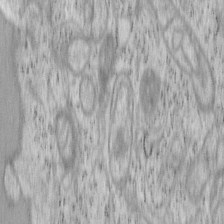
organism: Human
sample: HeLa cells